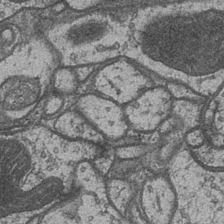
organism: Drosophila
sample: Optic medulla